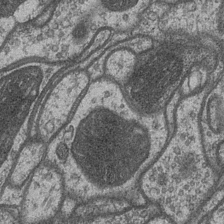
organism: Drosophila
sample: Optic medulla